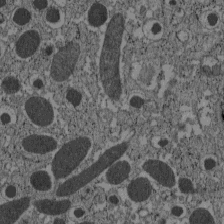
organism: C57BL Mouse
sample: Pancreatic islet